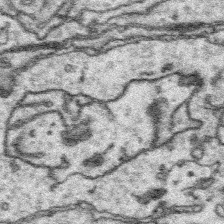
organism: Platynereis dumerilii